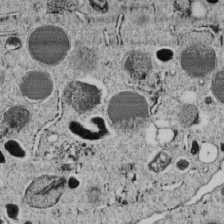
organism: C. elegans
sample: C. elegans embryo early stage